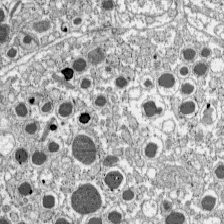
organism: C57BL Mouse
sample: Pancreatic islet